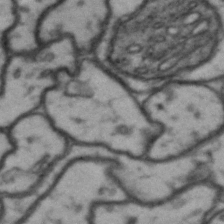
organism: Drosophila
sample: Brain